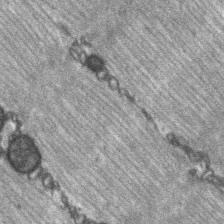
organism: C57BL Mouse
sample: Soleus